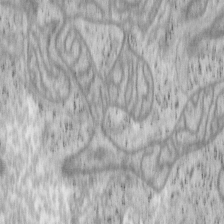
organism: Human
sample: HeLa cells